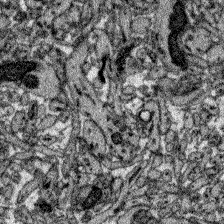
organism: Zebrafish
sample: Larval olfactory bulb